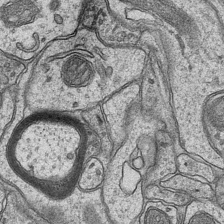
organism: Mouse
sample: CA1 Hippocampus